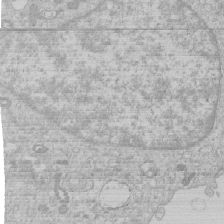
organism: Human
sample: Macrophage cells